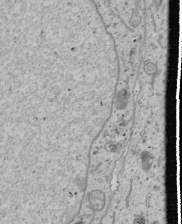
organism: Human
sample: Mitochondria in U2OS cells